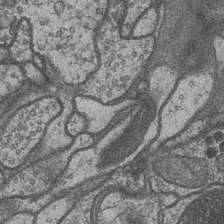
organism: Drosophila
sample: Optic medulla